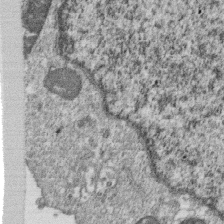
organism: African green monkey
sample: Vero E6 cells infected with SARS-CoV-2